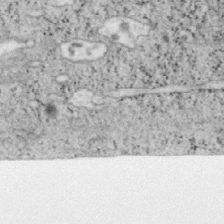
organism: Mouse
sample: OT-I killer T cells with ID8 ovarian cancer cells